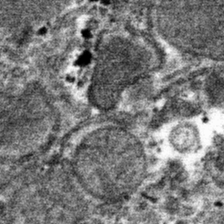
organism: Mouse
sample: Mouse hepatocytes